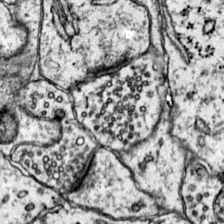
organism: Mouse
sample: Primary visual cortex